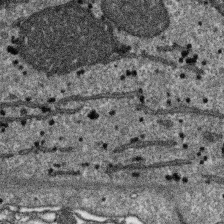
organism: Human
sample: Lung epithelial cells infected with SARS-CoV-2